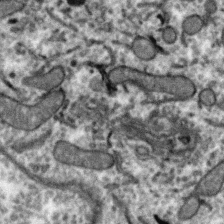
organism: Zebra finch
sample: Brain